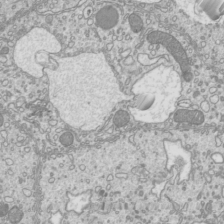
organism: Mouse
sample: Cilia; mouse epididymis